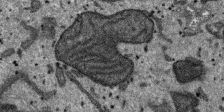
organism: Human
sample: Lung epithelial cells, uninfected (mock) control